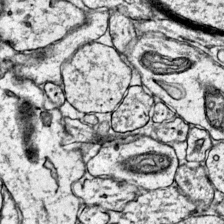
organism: Mouse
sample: Primary visual cortex